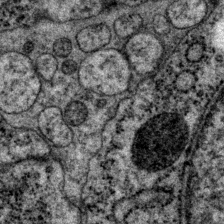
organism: P. pacificus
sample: Pharynx